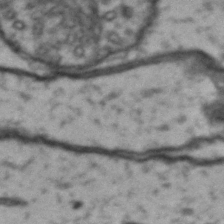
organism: Drosophila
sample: Brain